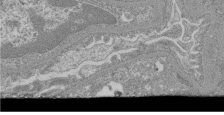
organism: Mouse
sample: Glomerulus